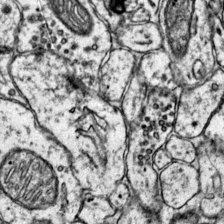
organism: Mouse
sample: Primary visual cortex